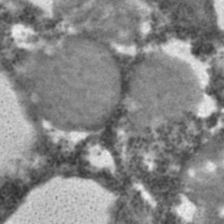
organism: C. elegans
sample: C. elegans embryo